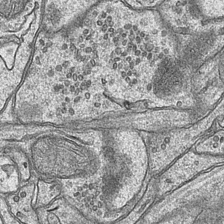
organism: Mouse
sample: CA1 Hippocampus